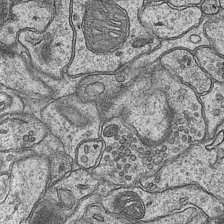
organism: Mouse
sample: CA1 Hippocampus